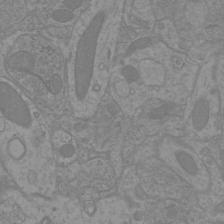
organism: Mouse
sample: Cortical neurons